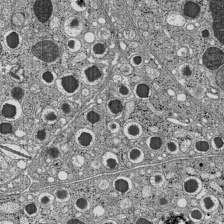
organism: C57BL Mouse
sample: Pancreatic islet